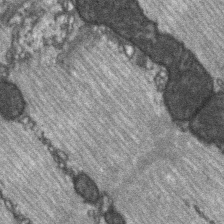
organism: C57BL Mouse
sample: Soleus